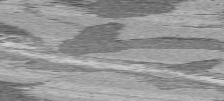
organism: C57BL Mouse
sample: Heart